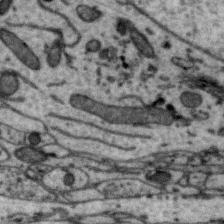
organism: Zebra finch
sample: Brain